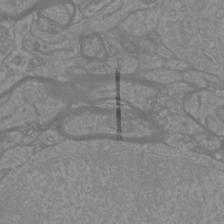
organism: Mouse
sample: Cortical neurons